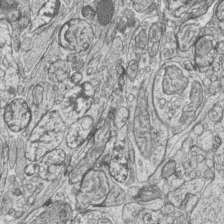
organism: Zebrafish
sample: synaptic ribbons in rod cells and cone cells